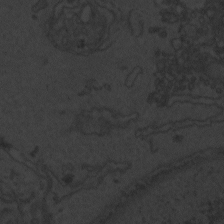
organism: Zebrafish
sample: Macrophage infected with Toxoplasma gondii